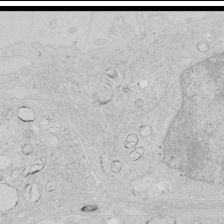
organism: Human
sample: Mitochondria in HCT116 cells